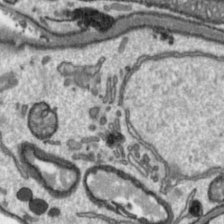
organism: Toxoplasma gondii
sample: Parasites in a vacuole inside a host cell